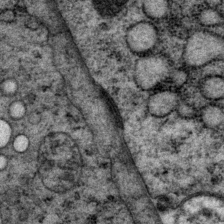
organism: P. pacificus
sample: Pharynx